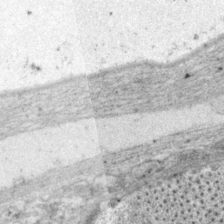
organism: P. pacificus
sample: Pharynx